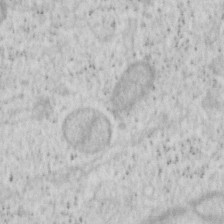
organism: Human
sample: HeLa cells